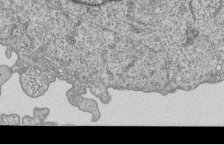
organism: Human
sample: MDA-MB-231 cells